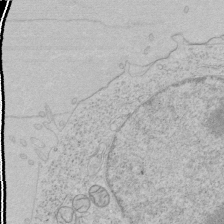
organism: Human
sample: Mitochondria in HCT116 cells